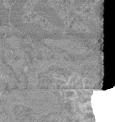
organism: Mouse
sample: Glomerulus